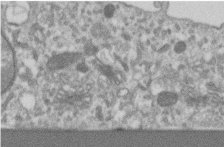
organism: Human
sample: Centriole in RPE cells